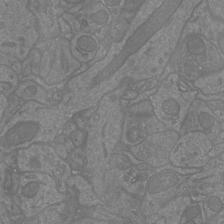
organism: Mouse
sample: Cortical neurons